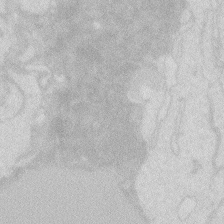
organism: Zebrafish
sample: Macrophage